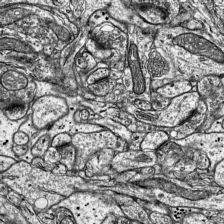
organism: Mouse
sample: Visual Cortex